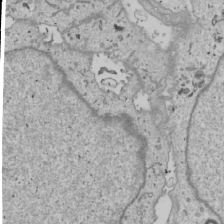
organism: Human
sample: Mitochondria in U2OS cells